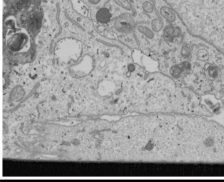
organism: Human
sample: Mitochondria in U2OS cells